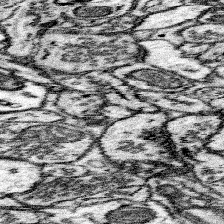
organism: Mouse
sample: Somatosensory cortex neuropil